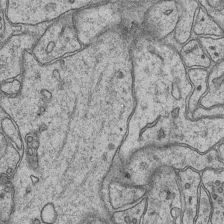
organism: Mouse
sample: CA1 Hippocampus